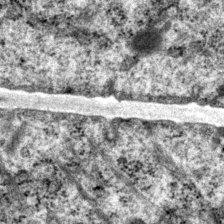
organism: P. pacificus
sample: Pharynx